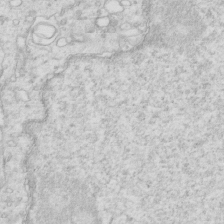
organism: Mouse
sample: Multiciliated cells